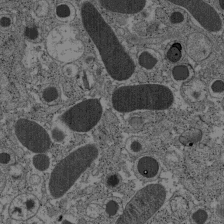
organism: C57BL Mouse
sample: Pancreatic islet